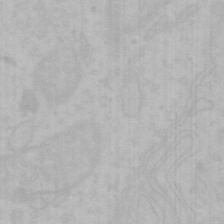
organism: Mouse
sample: Choroid plexus